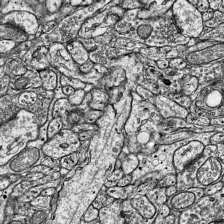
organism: Mouse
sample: Visual Cortex